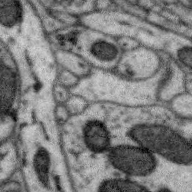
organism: Zebra finch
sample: Brain